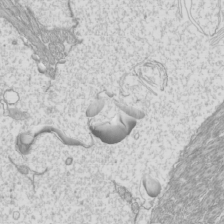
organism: Mouse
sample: Cilia; mouse epididymis